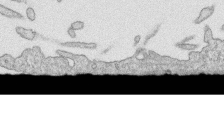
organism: Human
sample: HeLa cell HIV synapse